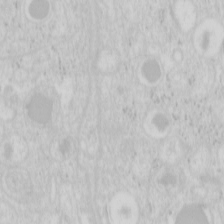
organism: Mouse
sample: Pancreas